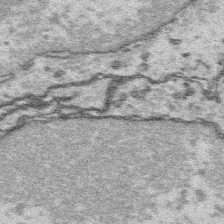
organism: Platynereis dumerilii